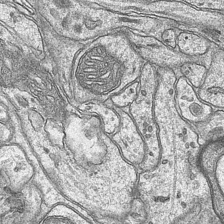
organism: Mouse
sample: CA1 Hippocampus